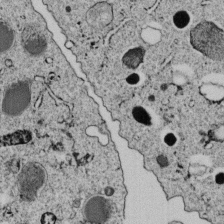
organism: C. elegans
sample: C. elegans embryo early stage